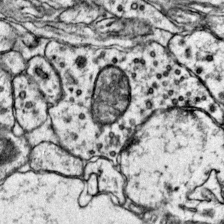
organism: Mouse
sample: Primary visual cortex